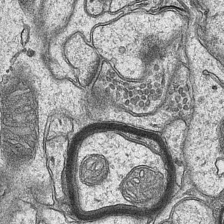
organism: Mouse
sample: CA1 Hippocampus